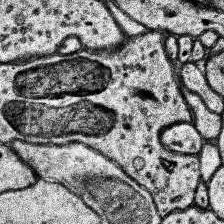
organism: Human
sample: Temporal Lobe